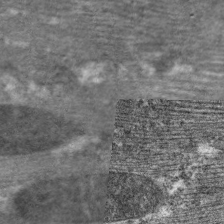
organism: C. elegans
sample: Pharynx